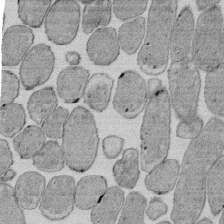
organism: E. coli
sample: Bacterial nucleoid